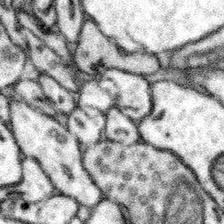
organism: Mouse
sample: Somatosensory cortex neuropil